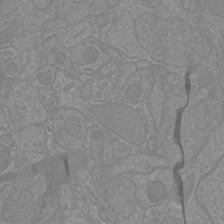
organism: Mouse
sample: Cortical neurons